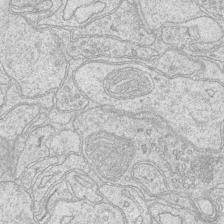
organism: Mouse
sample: CA1 Hippocampus